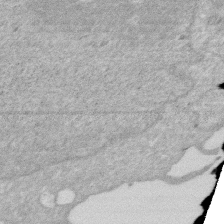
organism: Human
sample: HIV infected U937 cells